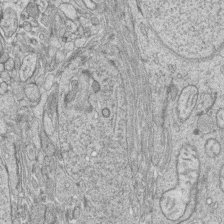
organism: Zebrafish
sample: synaptic ribbons in rod cells and cone cells